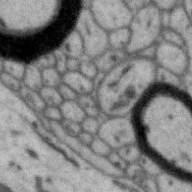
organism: Zebra finch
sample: Brain